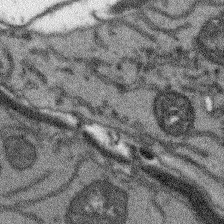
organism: Arabidopsis thaliana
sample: Root tip